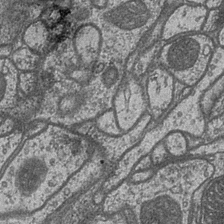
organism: Drosophila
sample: Optic medulla